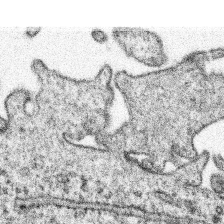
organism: Human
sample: HeLa cells